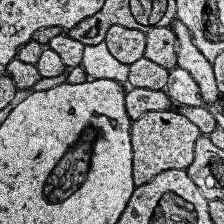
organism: Human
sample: Temporal Lobe